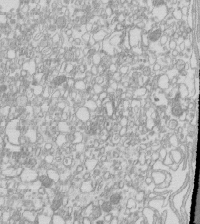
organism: Mouse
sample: Macrophages